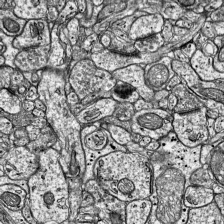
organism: Mouse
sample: Visual Cortex